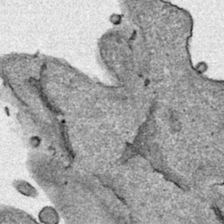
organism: Human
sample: Mitochondria in HCT116 cells